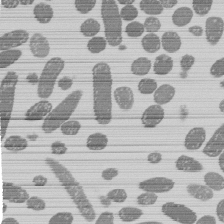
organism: E. coli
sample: Bacterial nucleoid